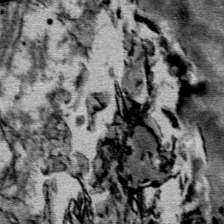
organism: Mouse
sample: Mouse Salivary gland